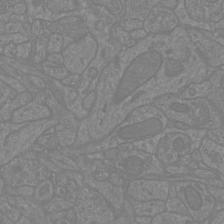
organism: Mouse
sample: Cortical neurons